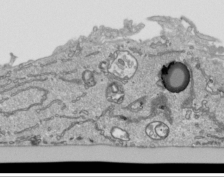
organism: Human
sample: Mitochondria in HCT116 cells